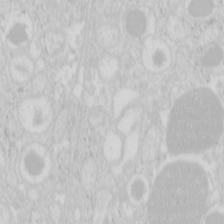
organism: Mouse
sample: Pancreas